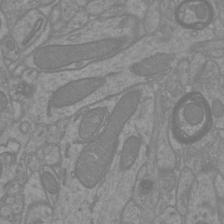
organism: Mouse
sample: Cortical neurons